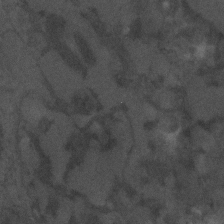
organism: C. elegans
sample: C. elegans embryo